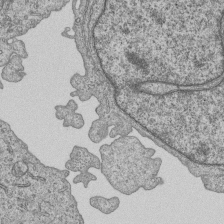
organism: Human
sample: MDA-MB-231 cells